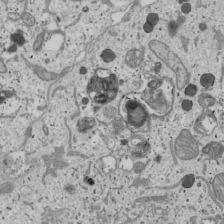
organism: Human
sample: Mitochondria in U2OS cells